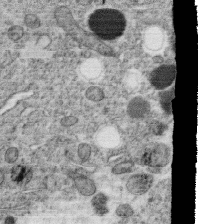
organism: C. elegans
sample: C. elegans oocyte; sperm cells